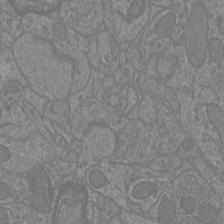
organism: Mouse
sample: Cortical neurons